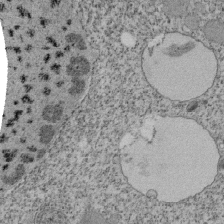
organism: Tetrahymena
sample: Cilia in tetrahymena